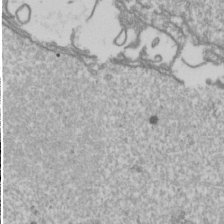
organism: Drosophila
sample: Cell division; meiosis; drosophila spermatocytes